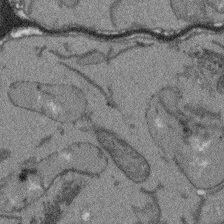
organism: Arabidopsis thaliana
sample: Root tip